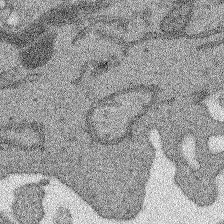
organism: Human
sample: HeLa cells